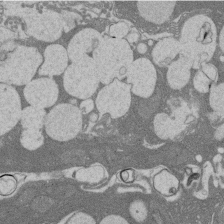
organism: Rat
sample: Salivary granule